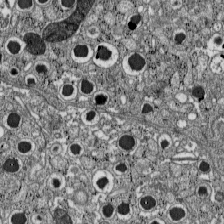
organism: C57BL Mouse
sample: Pancreatic islet